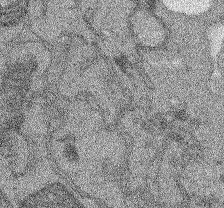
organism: Human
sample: HeLa cells